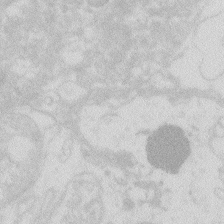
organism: Zebrafish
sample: Macrophage